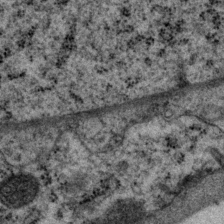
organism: P. pacificus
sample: Pharynx